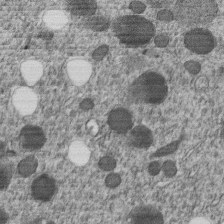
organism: C. elegans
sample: C. elegans embryo early stage